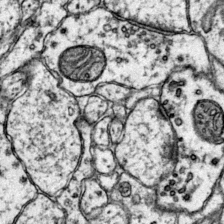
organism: Mouse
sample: Primary visual cortex